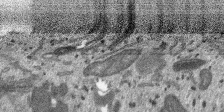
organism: Human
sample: Lung epithelial cells infected with SARS-CoV-2